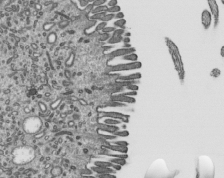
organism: Mouse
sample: Mouse epididymis efferent ductule cilia